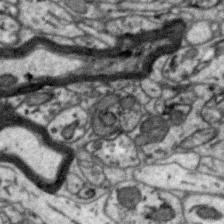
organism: Zebra finch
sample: Brain